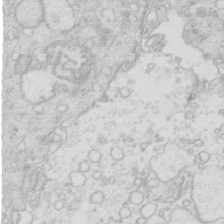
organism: Mouse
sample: Multiciliated cells